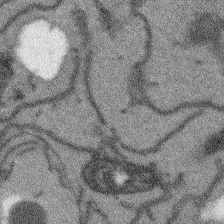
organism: Arabidopsis thaliana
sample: Root tip